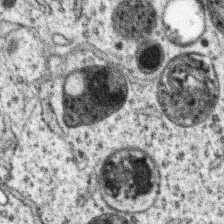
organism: Human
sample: HeLa cells